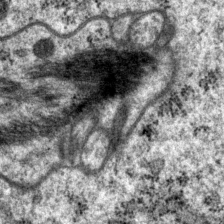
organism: P. pacificus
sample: Pharynx